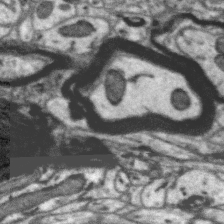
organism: Zebra finch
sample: Brain